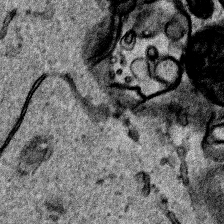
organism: Human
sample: Mitochondria in HCT116 cells